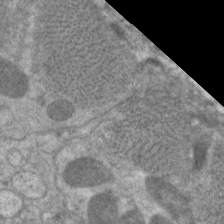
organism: C. elegans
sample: Pharynx